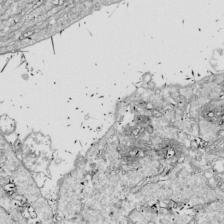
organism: Drosophila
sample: Cell division; meiosis; drosophila spermatocytes